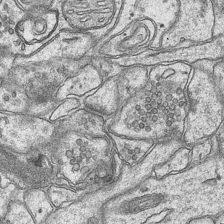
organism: Mouse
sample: CA1 Hippocampus